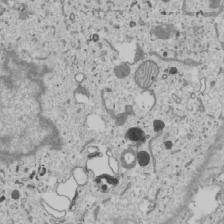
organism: Human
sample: Mitochondria in U2OS cells